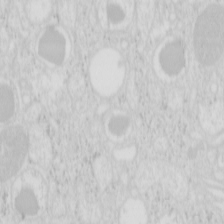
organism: Mouse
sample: Pancreas